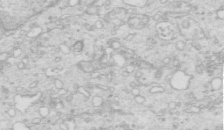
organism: Mouse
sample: Multiciliated cells